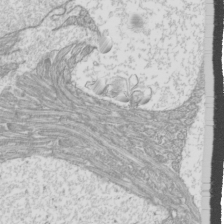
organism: Mouse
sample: Cilia; mouse epididymis